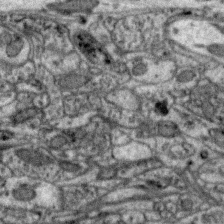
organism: Zebra finch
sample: Brain